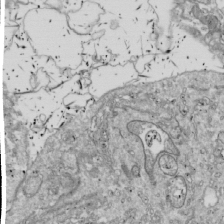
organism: Drosophila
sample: Cell division; meiosis; drosophila spermatocytes